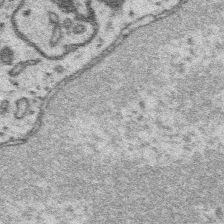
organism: Platynereis dumerilii